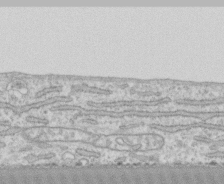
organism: Human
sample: CRL-1474